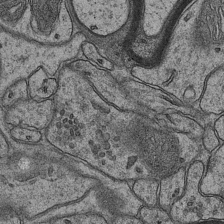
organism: Mouse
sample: CA1 Hippocampus